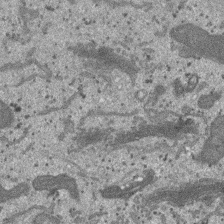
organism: Human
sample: Lung epithelial cells infected with SARS-CoV-2